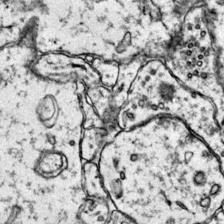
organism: Mouse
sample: Primary visual cortex